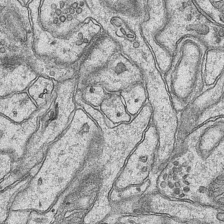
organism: Mouse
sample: CA1 Hippocampus